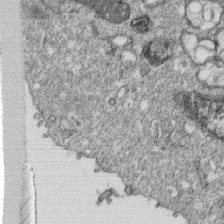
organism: African green monkey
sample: Vero E6 cells infected with SARS-CoV-2